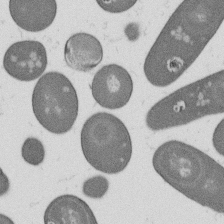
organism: B. subtilis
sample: Bacterial spore